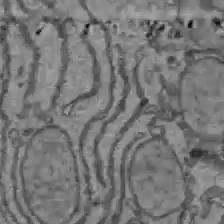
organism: C57BL Mouse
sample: Liver